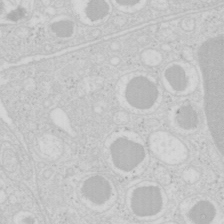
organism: Mouse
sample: Pancreas